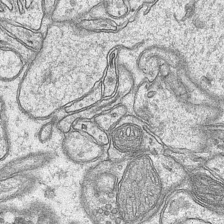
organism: Mouse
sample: CA1 Hippocampus